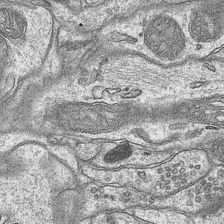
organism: Mouse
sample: CA1 Hippocampus